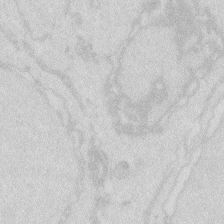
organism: Zebrafish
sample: Macrophage